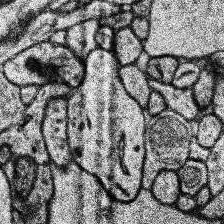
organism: Human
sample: Temporal Lobe